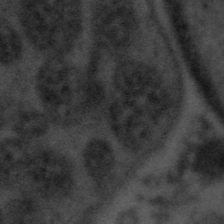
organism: Tuwongella immobilis